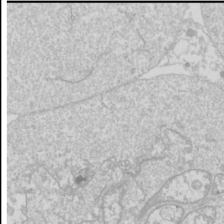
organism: Drosophila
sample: Cell division; meiosis; drosophila spermatocytes